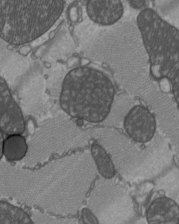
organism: C57BL Mouse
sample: Heart